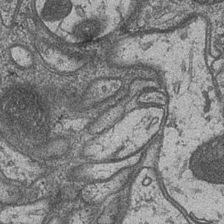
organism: Drosophila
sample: Optic medulla